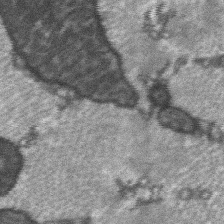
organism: C57BL Mouse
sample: Soleus